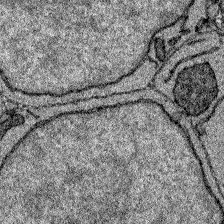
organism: Zebrafish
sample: Larval olfactory bulb